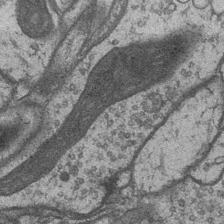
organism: Drosophila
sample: Optic medulla